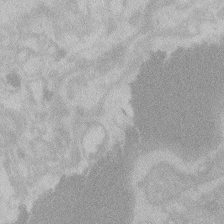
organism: Zebrafish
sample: Macrophage infected with Toxoplasma gondii